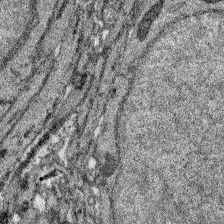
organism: Zebrafish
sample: Larval olfactory bulb